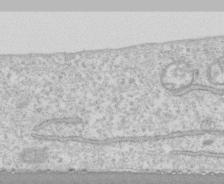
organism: Human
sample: CRL-1474